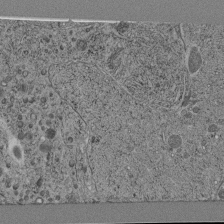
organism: C. elegans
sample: C. elegans pharynx